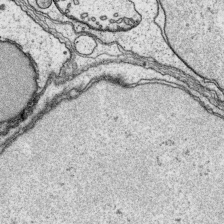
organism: Platynereis dumerilii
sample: Parapodia